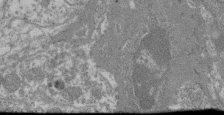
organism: Mouse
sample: Glomerulus